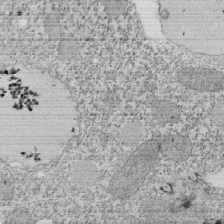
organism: Tetrahymena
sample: Cilia in tetrahymena